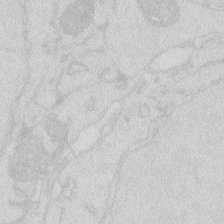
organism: Zebrafish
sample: Macrophage